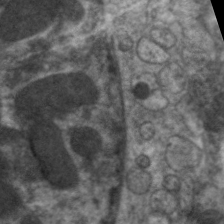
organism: C. elegans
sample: Pharynx